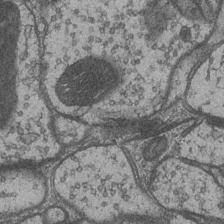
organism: Drosophila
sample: Optic medulla